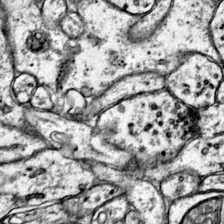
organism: Mouse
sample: Primary visual cortex